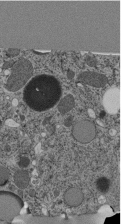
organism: C. elegans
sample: C. elegans pharynx